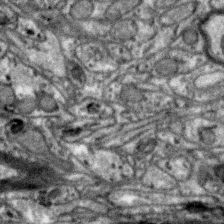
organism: Zebra finch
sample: Brain